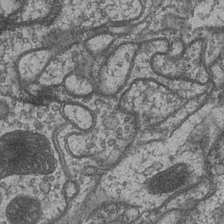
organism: Drosophila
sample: Optic medulla